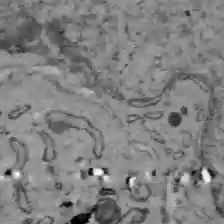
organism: C57BL Mouse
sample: Liver